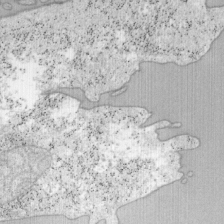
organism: Mouse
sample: OT-I killer T cells with ID8 ovarian cancer cells